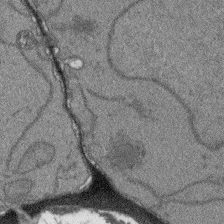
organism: Arabidopsis thaliana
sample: Root tip